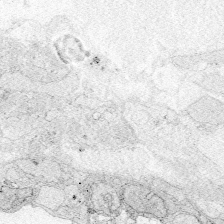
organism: Zebrafish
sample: Whole-Brain